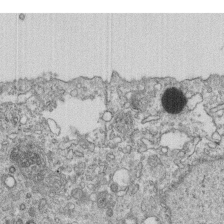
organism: Human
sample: HeLa cell HIV synapse